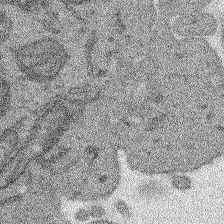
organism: Human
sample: HeLa cells